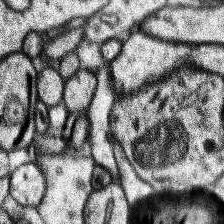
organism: Human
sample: Temporal Lobe